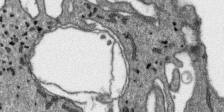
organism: Human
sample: Lung epithelial cells, uninfected (mock) control